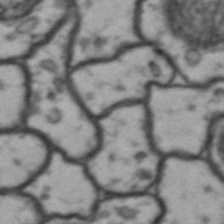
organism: Drosophila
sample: Brain